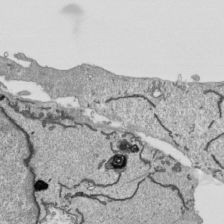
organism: Human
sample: Mitochondria in HCT116 cells